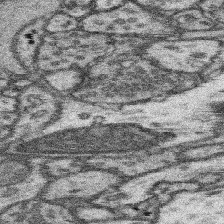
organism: Mouse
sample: Somatosensory cortex neuropil